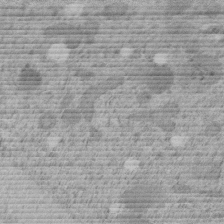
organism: C. elegans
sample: C. elegans embryo early stage